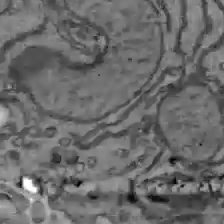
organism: C57BL Mouse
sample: Liver